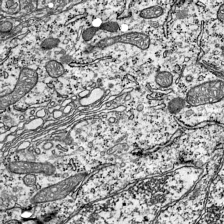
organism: Mouse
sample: Visual Cortex